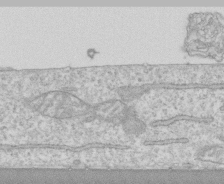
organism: Human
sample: CRL-1474